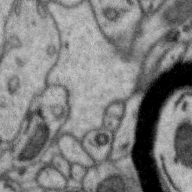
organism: Zebra finch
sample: Brain